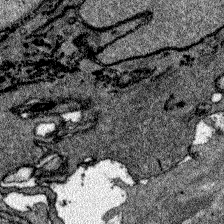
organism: Zebrafish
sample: Larval olfactory bulb